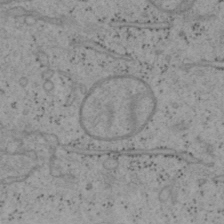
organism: Human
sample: HeLa cells